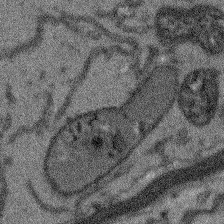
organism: Arabidopsis thaliana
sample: Root tip